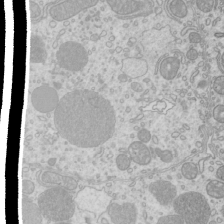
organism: Mouse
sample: Cilia; mouse epididymis